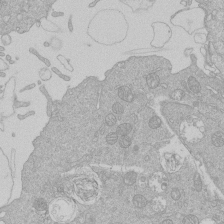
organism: Human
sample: Macrophage cells